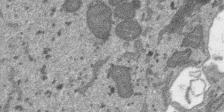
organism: Human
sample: Lung epithelial cells infected with SARS-CoV-2